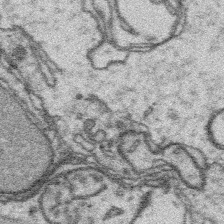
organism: Platynereis dumerilii